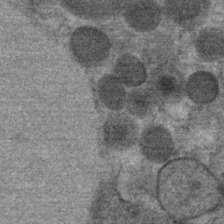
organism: Mouse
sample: Mouse Salivary gland